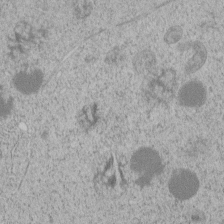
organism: C. elegans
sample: C. elegans embryo early stage